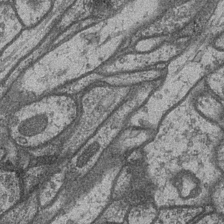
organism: Drosophila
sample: Optic medulla